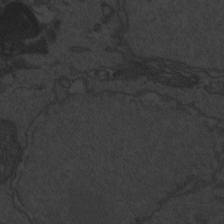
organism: Zebrafish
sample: Macrophage infected with Toxoplasma gondii